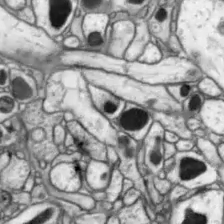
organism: Drosophila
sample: Optic lobe